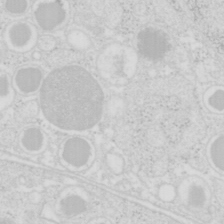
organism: Mouse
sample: Pancreas